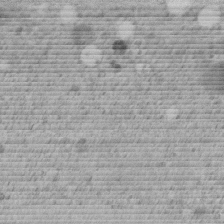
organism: C. elegans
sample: C. elegans embryo early stage